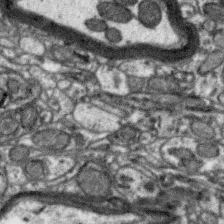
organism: Zebra finch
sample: Brain